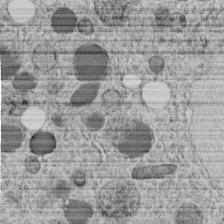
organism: C. elegans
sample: C. elegans embryo early stage